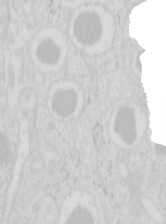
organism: Mouse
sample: Pancreas